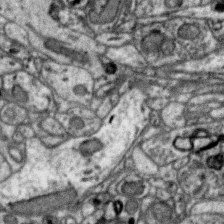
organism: Zebra finch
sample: Brain